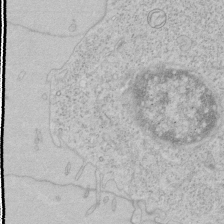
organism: Human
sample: Mitochondria in HCT116 cells